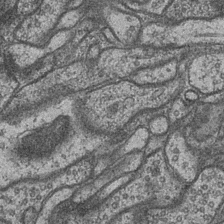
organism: Drosophila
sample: Optic medulla